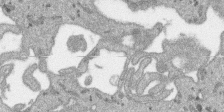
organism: Human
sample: Lung epithelial cells infected with SARS-CoV-2